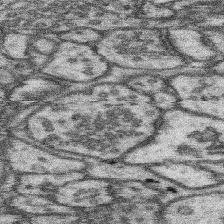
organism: Mouse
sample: Somatosensory cortex neuropil